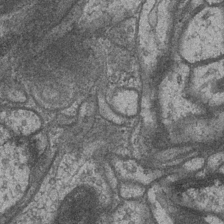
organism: Drosophila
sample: Optic medulla